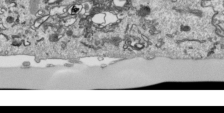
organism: Human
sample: Mitochondria in HCT116 cells